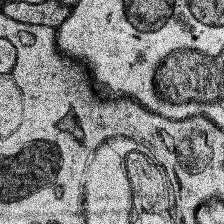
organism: Human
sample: Temporal Lobe